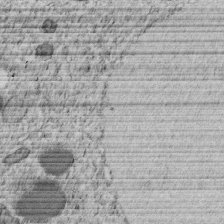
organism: C. elegans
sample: C. elegans embryo early stage